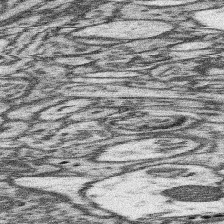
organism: Mouse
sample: Somatosensory cortex neuropil